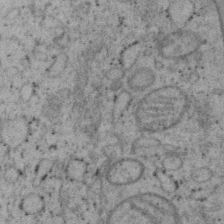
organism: Human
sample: HeLa cells